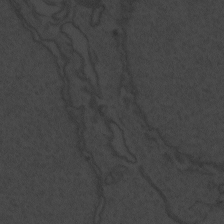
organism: Zebrafish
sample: Macrophage infected with Toxoplasma gondii